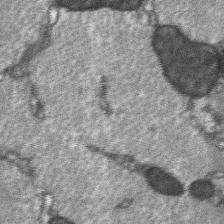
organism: C57BL Mouse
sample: Soleus